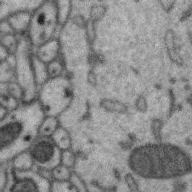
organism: Zebra finch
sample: Brain